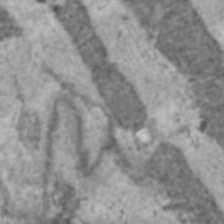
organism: C57BL Mouse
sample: Heart